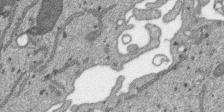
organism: Human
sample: Lung epithelial cells infected with SARS-CoV-2